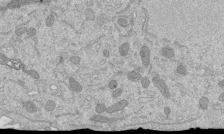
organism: Mouse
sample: ED-1 cell nuclei; centrioles